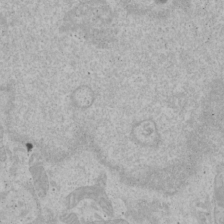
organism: Human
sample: Mitochondria in U2OS cells